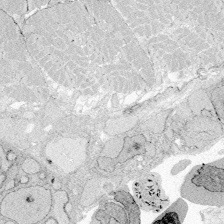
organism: Zebrafish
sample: Whole-Brain